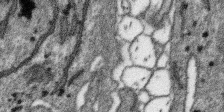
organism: Human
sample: Lung epithelial cells infected with SARS-CoV-2